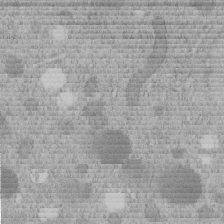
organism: C. elegans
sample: C. elegans embryo early stage